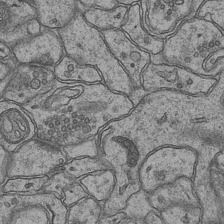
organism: Mouse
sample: CA1 Hippocampus